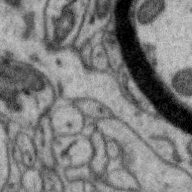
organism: Zebra finch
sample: Brain